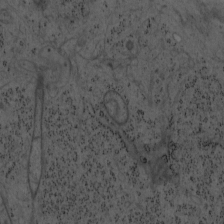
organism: Mouse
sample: OT-I killer T cells with ID8 ovarian cancer cells